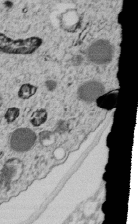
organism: C. elegans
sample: C. elegans embryo early stage